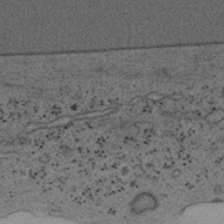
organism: Human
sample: HeLa cells